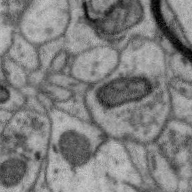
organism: Zebra finch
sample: Brain